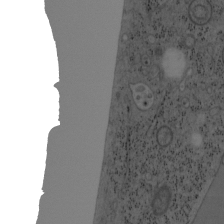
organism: Mouse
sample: OT-I killer T cells with ID8 ovarian cancer cells